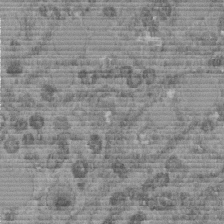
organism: C. elegans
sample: C. elegans embryo early stage